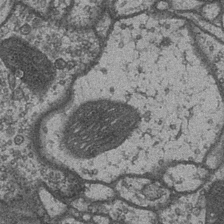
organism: Drosophila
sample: Optic medulla